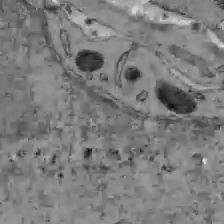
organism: C57BL Mouse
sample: Liver